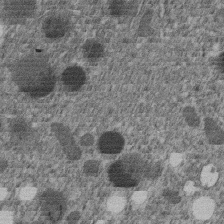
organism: C. elegans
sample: C. elegans embryo early stage